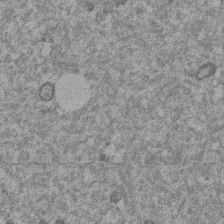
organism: Mouse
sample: Dividing mouse embryo 1 cell stage